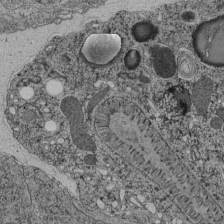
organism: C. elegans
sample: C. elegans pharynx